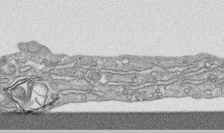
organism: Human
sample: CRL-1474